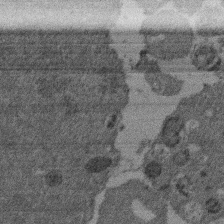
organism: Mouse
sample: Dividing mouse embryo 1 cell stage